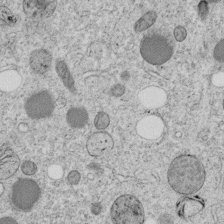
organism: C. elegans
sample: C. elegans embryo early stage